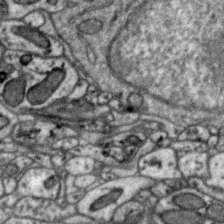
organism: Zebra finch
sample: Brain